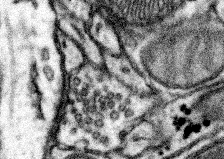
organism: Mouse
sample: Somatosensory cortex neuropil